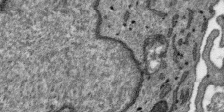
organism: Human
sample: Lung epithelial cells, uninfected (mock) control